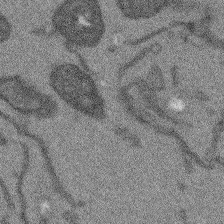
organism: Arabidopsis thaliana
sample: Root tip